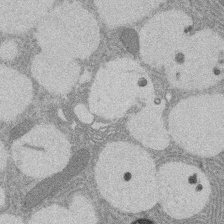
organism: Rat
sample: Salivary granule